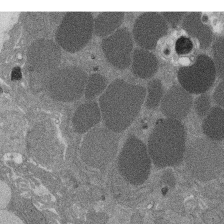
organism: Rat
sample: Salivary granule